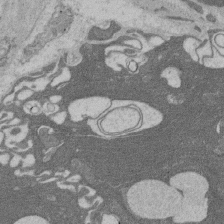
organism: Rat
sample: Salivary granule